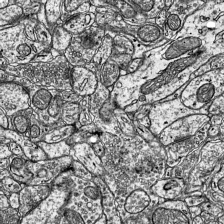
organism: Mouse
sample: Visual Cortex